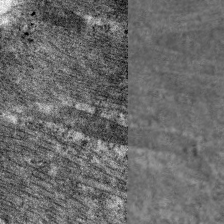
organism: C. elegans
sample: Pharynx